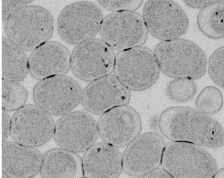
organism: E. coli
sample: Bacterial nucleoid